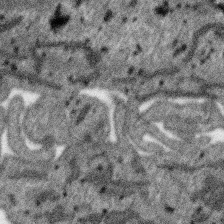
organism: Human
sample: Lung epithelial cells infected with SARS-CoV-2